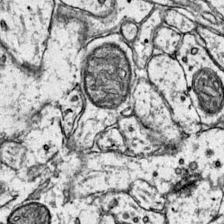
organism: Mouse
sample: Primary visual cortex